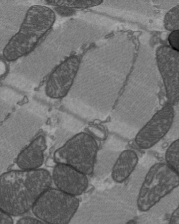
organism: C57BL Mouse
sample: Heart